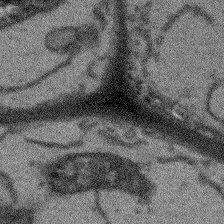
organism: Arabidopsis thaliana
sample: Root tip